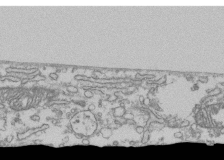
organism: Human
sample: Fibroblast cells